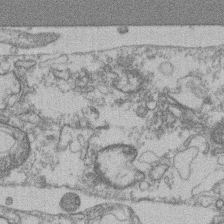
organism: Mouse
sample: T cell stromal cell synapse